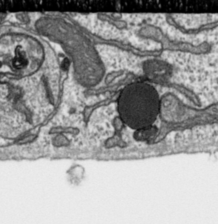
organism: Toxoplasma gondii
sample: Parasites in a vacuole inside a host cell